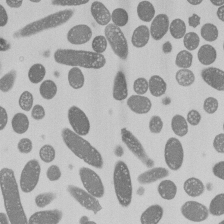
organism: E. coli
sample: Bacterial nucleoid